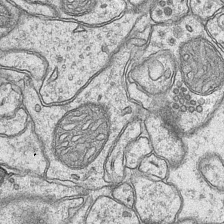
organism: Mouse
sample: CA1 Hippocampus